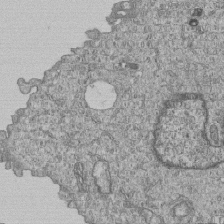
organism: Human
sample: MDA-MB-231 cells